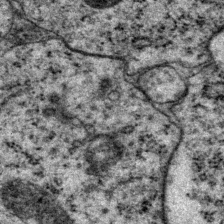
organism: P. pacificus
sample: Pharynx